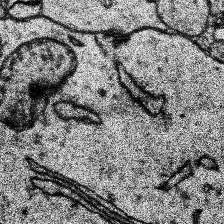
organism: Human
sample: Temporal Lobe